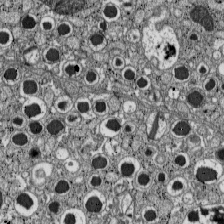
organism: C57BL Mouse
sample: Pancreatic islet